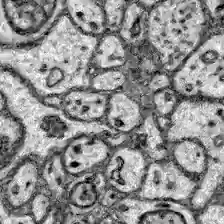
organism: Zebrafish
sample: Brain